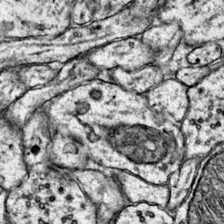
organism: Mouse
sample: Primary visual cortex